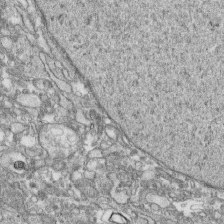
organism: Human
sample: CRL-1474